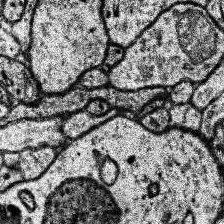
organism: Human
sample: Temporal Lobe